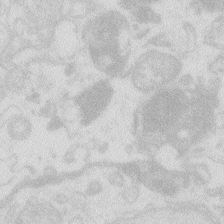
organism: Zebrafish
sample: Macrophage